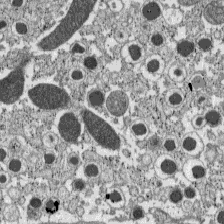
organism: C57BL Mouse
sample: Pancreatic islet